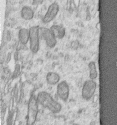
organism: Human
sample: Centriole in RPE cells